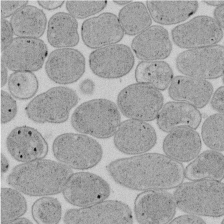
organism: E. coli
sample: Bacterial nucleoid